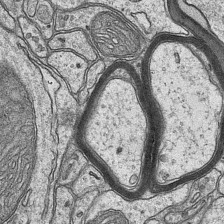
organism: Mouse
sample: CA1 Hippocampus